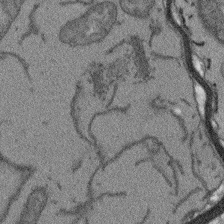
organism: Arabidopsis thaliana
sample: Root tip